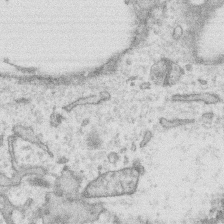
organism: Human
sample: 1205lu cells